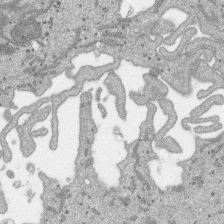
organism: Human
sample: Lung epithelial cells infected with SARS-CoV-2